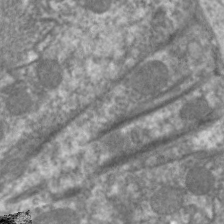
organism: C. elegans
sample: Pharynx